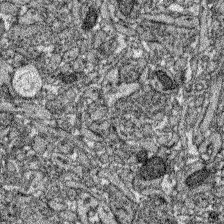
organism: Zebrafish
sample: Larval olfactory bulb